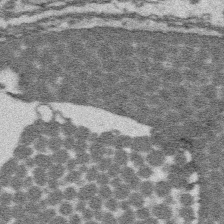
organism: Platynereis dumerilii